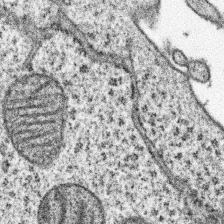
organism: Human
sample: HeLa cells